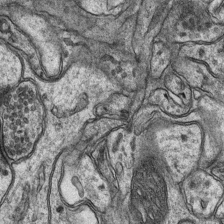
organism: Mouse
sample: CA1 Hippocampus